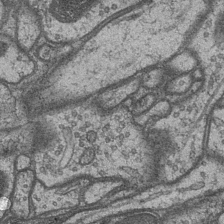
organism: Drosophila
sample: Optic medulla